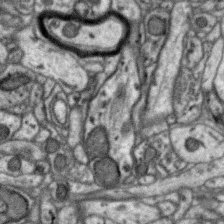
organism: Zebra finch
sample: Brain